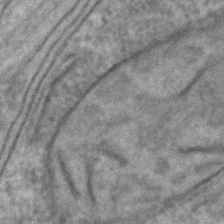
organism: C. elegans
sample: C. elegans embryo